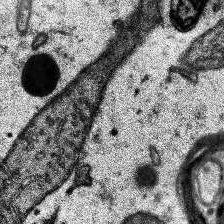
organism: Human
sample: Temporal Lobe